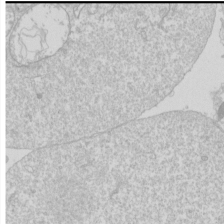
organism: Drosophila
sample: Cell division; meiosis; drosophila spermatocytes